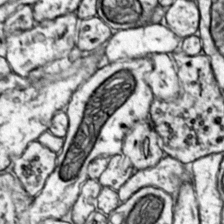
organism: Mouse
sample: Primary visual cortex